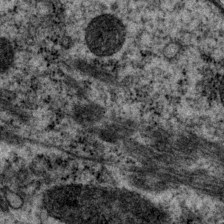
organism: P. pacificus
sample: Pharynx